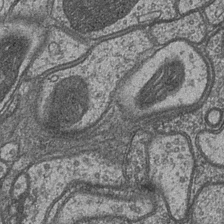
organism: Drosophila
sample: Optic medulla